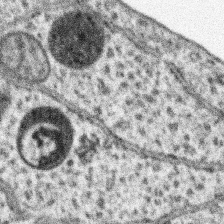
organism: Human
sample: HeLa cells